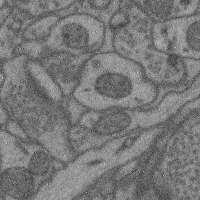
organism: Mouse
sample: Cerebral cortex